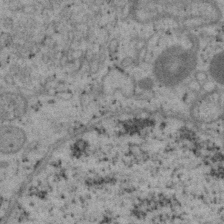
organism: Human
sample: HeLa cells